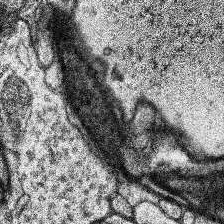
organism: Human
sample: Temporal Lobe